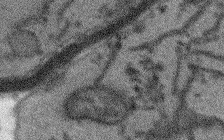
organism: Arabidopsis thaliana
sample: Root tip